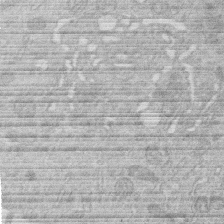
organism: Human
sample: Macrophage cells